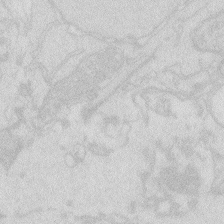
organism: Zebrafish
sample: Macrophage